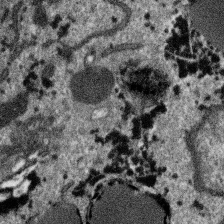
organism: Human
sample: Lung epithelial cells infected with SARS-CoV-2